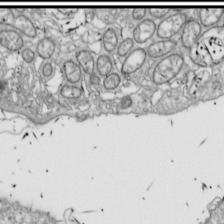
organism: Drosophila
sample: Cell division; meiosis; drosophila spermatocytes